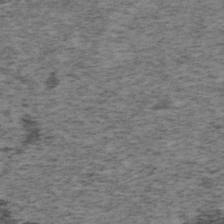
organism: Mouse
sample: OT-I killer T cells with ID8 ovarian cancer cells